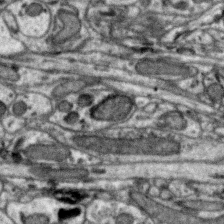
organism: Zebra finch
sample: Brain